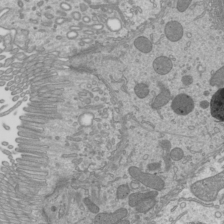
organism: Mouse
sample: Cilia; mouse epididymis